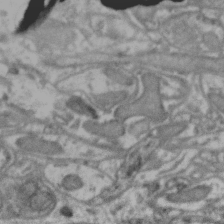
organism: Zebra finch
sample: Brain